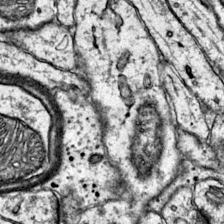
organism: Mouse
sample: Primary visual cortex